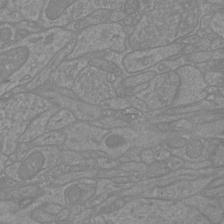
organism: Mouse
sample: Cortical neurons